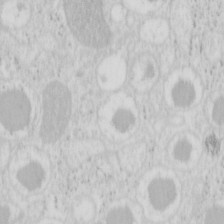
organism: Mouse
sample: Pancreas